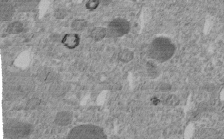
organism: C. elegans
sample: C. elegans embryo early stage